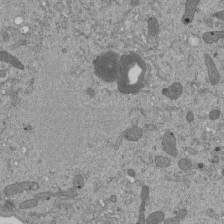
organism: Mouse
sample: ED-1 cell nuclei; centrioles